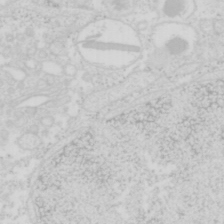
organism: Mouse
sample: Pancreas